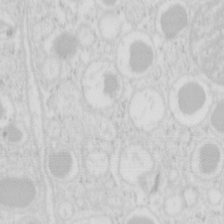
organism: Mouse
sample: Pancreas